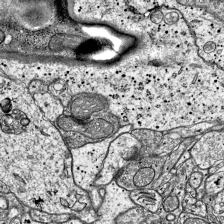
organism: Mouse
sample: Visual Cortex